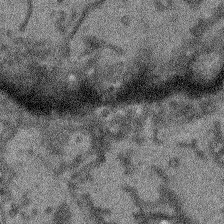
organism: Arabidopsis thaliana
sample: Root tip